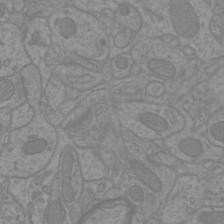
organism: Mouse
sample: Cortical neurons